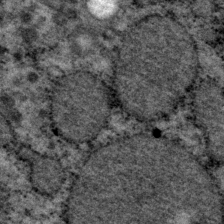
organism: P. pacificus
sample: Pharynx